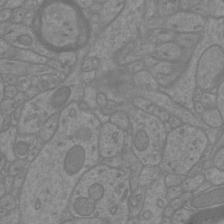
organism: Mouse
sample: Cortical neurons